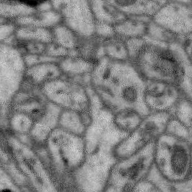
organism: Zebra finch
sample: Brain